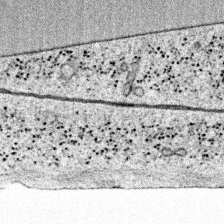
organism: Human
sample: HeLa cells